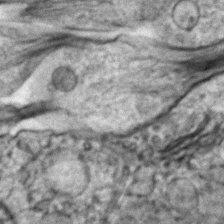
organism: Zebrafish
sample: Zebrafish embryo